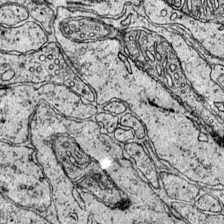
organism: Mouse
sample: Primary visual cortex